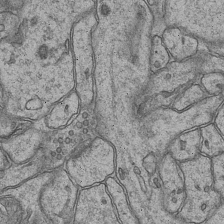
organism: Mouse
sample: CA1 Hippocampus